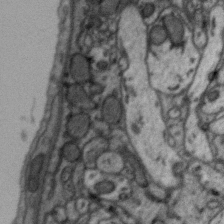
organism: Zebra finch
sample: Brain